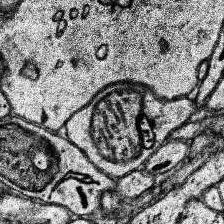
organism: Human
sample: Temporal Lobe